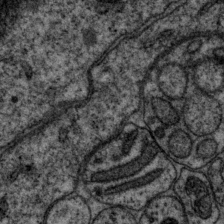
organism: P. pacificus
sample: Pharynx